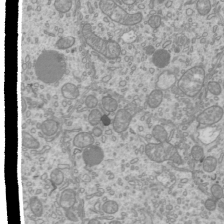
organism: Mouse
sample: Cilia; mouse epididymis